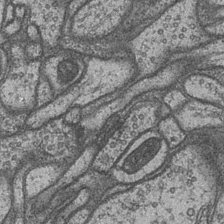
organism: Drosophila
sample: Optic medulla